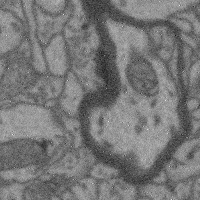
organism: Mouse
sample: Cerebral cortex